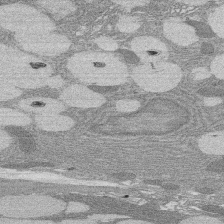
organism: Rat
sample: Salivary granule